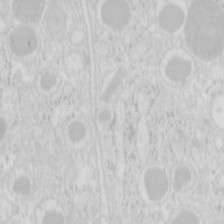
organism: Mouse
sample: Pancreas